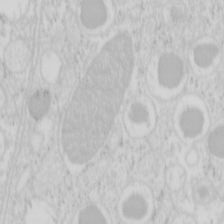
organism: Mouse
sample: Pancreas